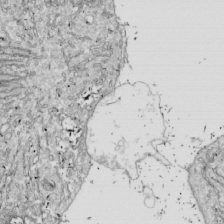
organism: Drosophila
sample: Cell division; meiosis; drosophila spermatocytes